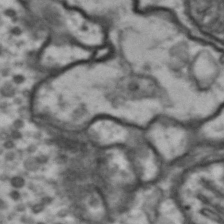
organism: Drosophila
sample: Brain